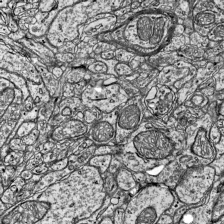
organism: Mouse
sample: Visual Cortex